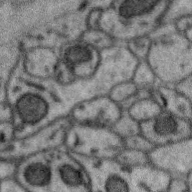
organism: Zebra finch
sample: Brain